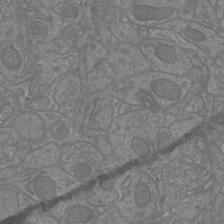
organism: Mouse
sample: Cortical neurons